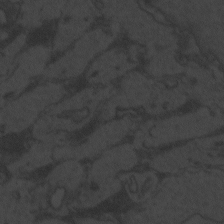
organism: Zebrafish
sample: Macrophage infected with Toxoplasma gondii